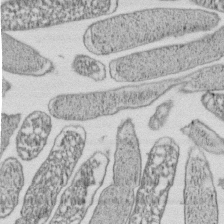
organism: E. coli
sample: Bacterial nucleoid